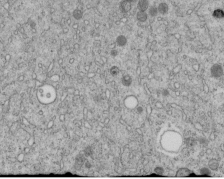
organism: C. elegans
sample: C. elegans embryo early stage